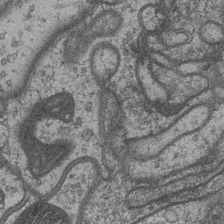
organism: Drosophila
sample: Optic medulla